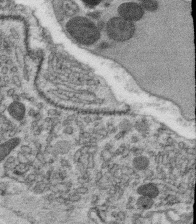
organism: C. elegans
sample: C. elegans oocyte; sperm cells